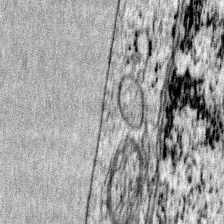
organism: Human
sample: HeLa cells